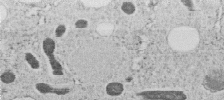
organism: C. elegans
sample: C. elegans embryo early stage